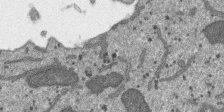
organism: Human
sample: Lung epithelial cells infected with SARS-CoV-2